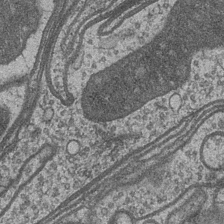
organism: Drosophila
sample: Optic medulla